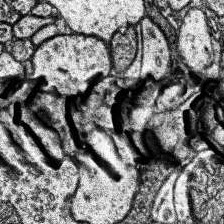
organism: Human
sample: Temporal Lobe